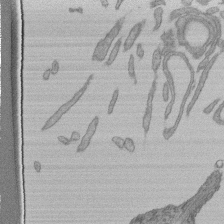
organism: Human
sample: Retinal organoid Rod and Cone cells